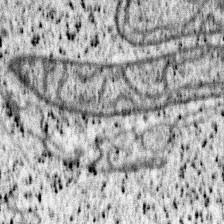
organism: Human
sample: HeLa cells